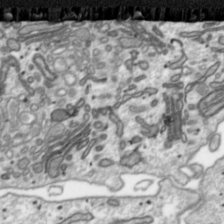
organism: Toxoplasma gondii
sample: Parasites in a vacuole inside a host cell